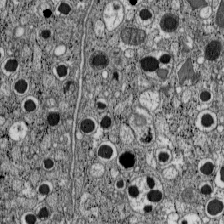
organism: C57BL Mouse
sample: Pancreatic islet